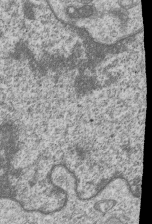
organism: Human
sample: MDA-MB-231 cells